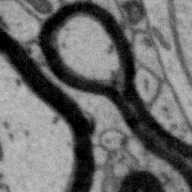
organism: Zebra finch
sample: Brain